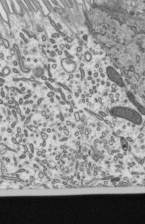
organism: Mouse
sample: Mouse epididymis efferent ductule cilia